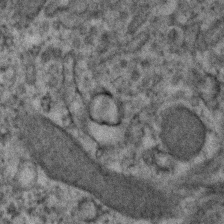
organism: Human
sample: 1205lu cells